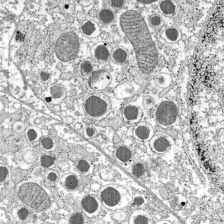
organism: C57BL Mouse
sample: Pancreatic islet